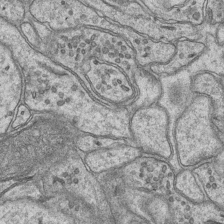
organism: Mouse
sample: CA1 Hippocampus